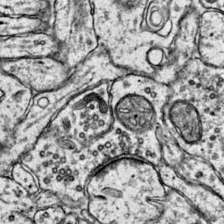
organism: Mouse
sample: Primary visual cortex